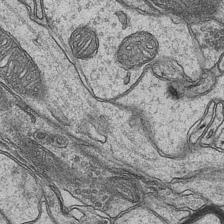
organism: Mouse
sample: CA1 Hippocampus